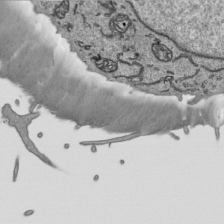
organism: Human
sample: Mitochondria in HCT116 cells